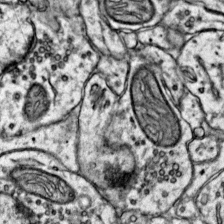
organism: Mouse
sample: Primary visual cortex